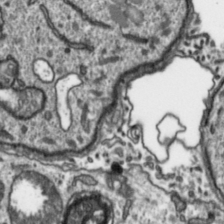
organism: Toxoplasma gondii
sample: Parasites in a vacuole inside a host cell